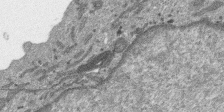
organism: Human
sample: Lung epithelial cells infected with SARS-CoV-2